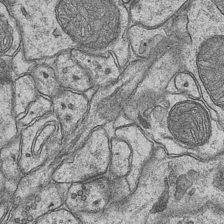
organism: Mouse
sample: CA1 Hippocampus